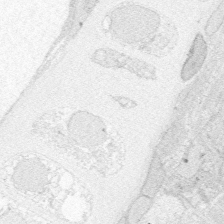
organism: Zebrafish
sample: Whole-Brain